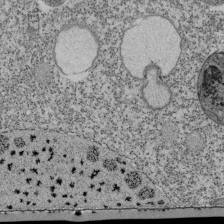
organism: Tetrahymena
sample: Cilia in tetrahymena